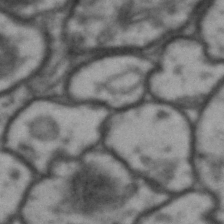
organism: Drosophila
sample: Brain